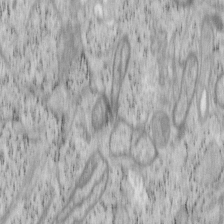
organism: Human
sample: HeLa cells